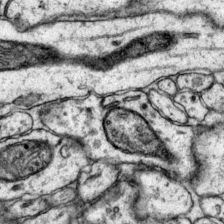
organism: Mouse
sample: Primary visual cortex